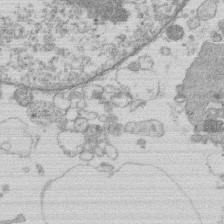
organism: Human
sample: Macrophage cells